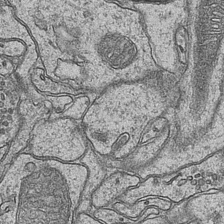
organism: Mouse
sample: CA1 Hippocampus